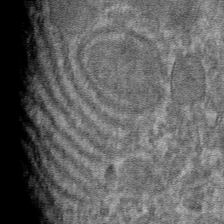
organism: Mouse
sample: Mouse hepatocytes